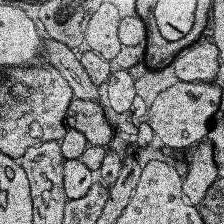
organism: Human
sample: Temporal Lobe